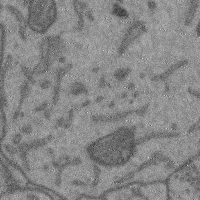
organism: Mouse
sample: Cerebral cortex